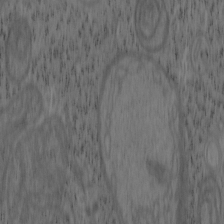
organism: Human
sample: HeLa cells